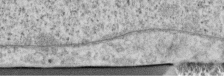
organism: Human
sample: Centriole in RPE cells